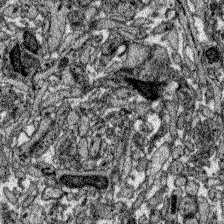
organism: Zebrafish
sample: Larval olfactory bulb